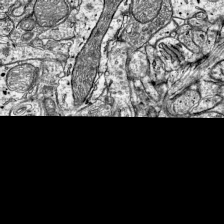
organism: Mouse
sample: Visual Cortex